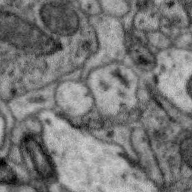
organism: Zebra finch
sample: Brain